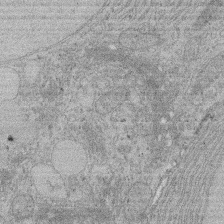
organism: Rat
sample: Salivary granule